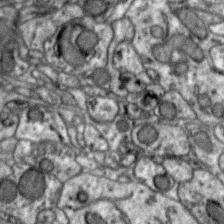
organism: Zebra finch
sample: Brain